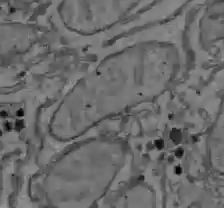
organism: C57BL Mouse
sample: Liver